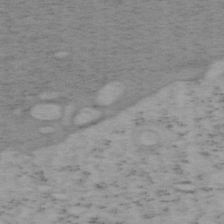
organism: Mouse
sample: OT-I killer T cells with ID8 ovarian cancer cells